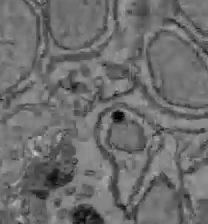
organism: C57BL Mouse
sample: Liver